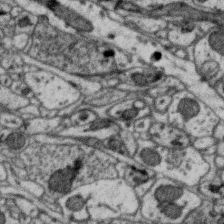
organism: Zebra finch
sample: Brain